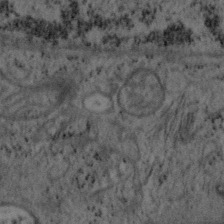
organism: Human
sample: HeLa cells